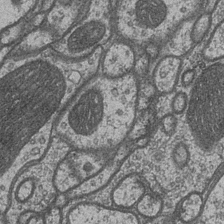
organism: Drosophila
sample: Optic medulla